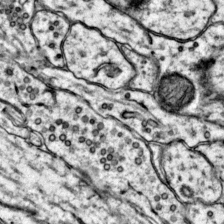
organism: Mouse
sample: Primary visual cortex